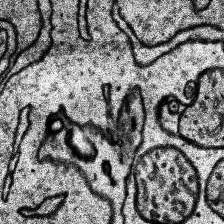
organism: Human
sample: Temporal Lobe